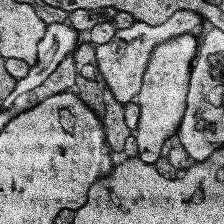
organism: Human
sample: Temporal Lobe